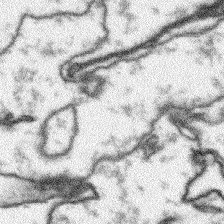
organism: Arabidopsis thaliana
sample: Root tip